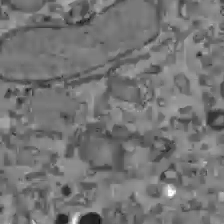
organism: C57BL Mouse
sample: Liver